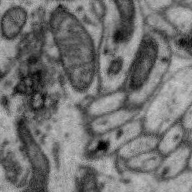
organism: Zebra finch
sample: Brain